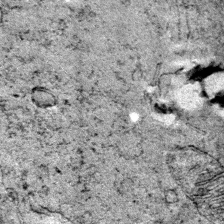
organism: Mouse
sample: Primary visual cortex